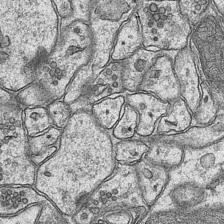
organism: Mouse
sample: CA1 Hippocampus